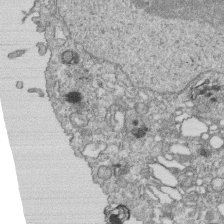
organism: Human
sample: HeLa cell HIV synapse